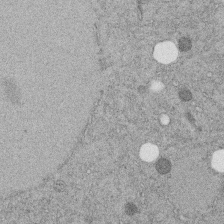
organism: C. elegans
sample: C. elegans embryo early stage